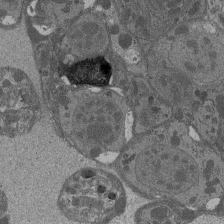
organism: Drosophila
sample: Antenna